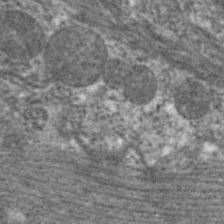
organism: C. elegans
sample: Pharynx